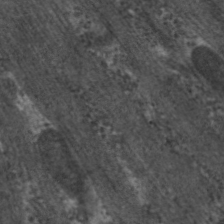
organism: C. elegans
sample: Pharynx